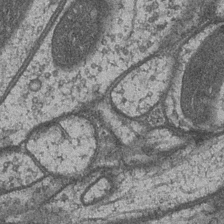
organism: Drosophila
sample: Optic medulla